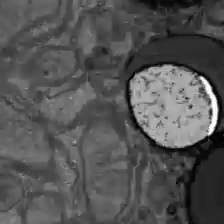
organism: C57BL Mouse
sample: Liver